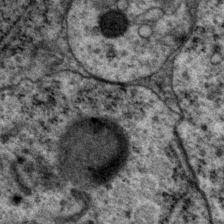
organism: P. pacificus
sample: Pharynx